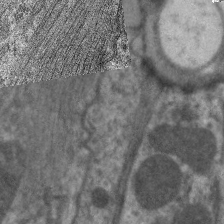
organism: C. elegans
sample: Pharynx